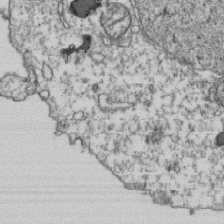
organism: Human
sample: Activated Jurkat CD4+ T cells